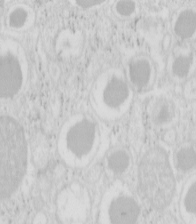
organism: Mouse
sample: Pancreas